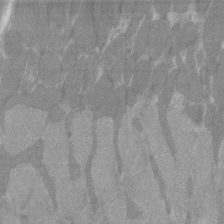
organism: C57BL Mouse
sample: Tibialis anterior muscle cell